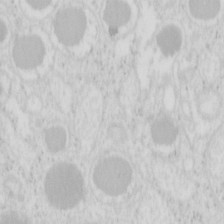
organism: Mouse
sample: Pancreas